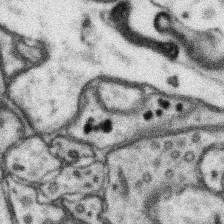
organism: Mouse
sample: Somatosensory cortex neuropil